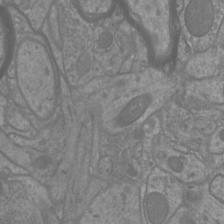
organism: Mouse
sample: Cortical neurons